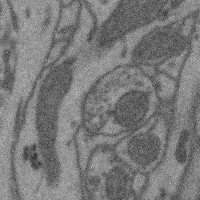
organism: Mouse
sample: Cerebral cortex